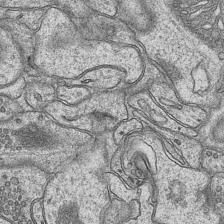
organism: Mouse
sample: CA1 Hippocampus